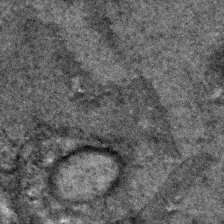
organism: C. elegans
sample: C. elegans embryo